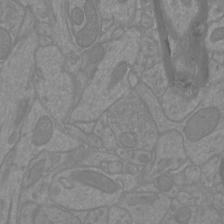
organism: Mouse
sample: Cortical neurons